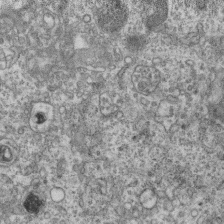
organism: Mouse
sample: Centriole in ependymal cells